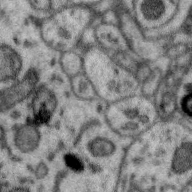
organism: Zebra finch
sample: Brain